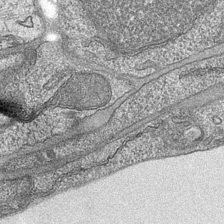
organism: Mouse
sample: CA1 Hippocampus